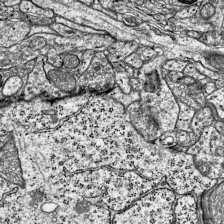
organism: Mouse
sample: Visual Cortex